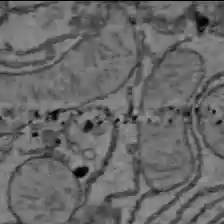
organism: C57BL Mouse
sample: Liver